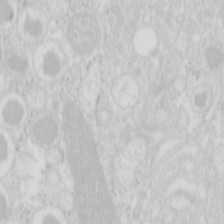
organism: Mouse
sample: Pancreas